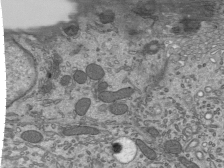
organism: Mouse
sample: Mouse epididymis efferent ductule cilia